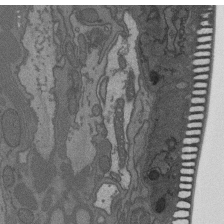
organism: C. elegans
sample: AFD neurons C. elegans